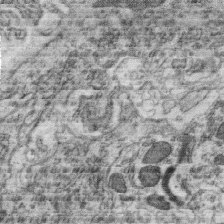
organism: C. elegans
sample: C. elegans oocyte; sperm cells